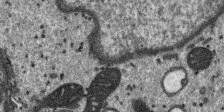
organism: Human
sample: Lung epithelial cells infected with SARS-CoV-2